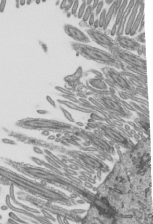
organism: Mouse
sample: Mouse epididymis efferent ductule cilia